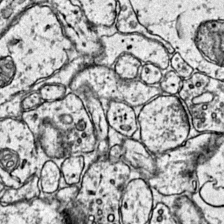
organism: Mouse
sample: Primary visual cortex